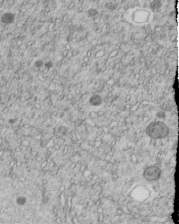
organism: C. elegans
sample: C. elegans embryo early stage